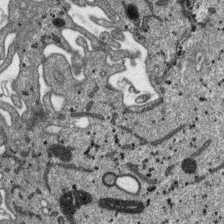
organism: Human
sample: Lung epithelial cells infected with SARS-CoV-2